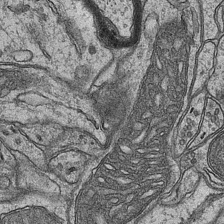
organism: Mouse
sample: CA1 Hippocampus